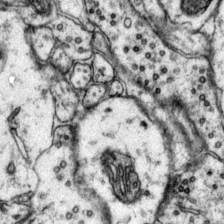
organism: Mouse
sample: Primary visual cortex